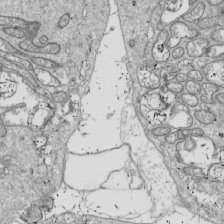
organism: Drosophila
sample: Cell division; meiosis; drosophila spermatocytes